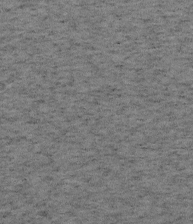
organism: Mouse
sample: OT-I killer T cells with ID8 ovarian cancer cells